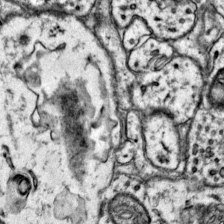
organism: Mouse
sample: Primary visual cortex